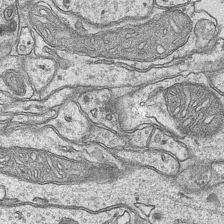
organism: Mouse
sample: CA1 Hippocampus